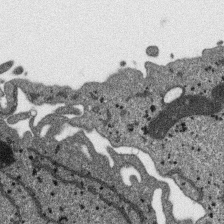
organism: Human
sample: Lung epithelial cells infected with SARS-CoV-2